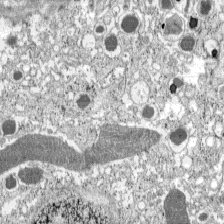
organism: C57BL Mouse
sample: Pancreatic islet